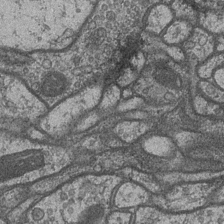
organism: Drosophila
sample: Optic medulla